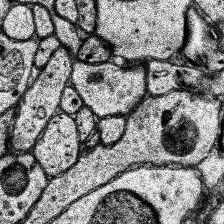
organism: Human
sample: Temporal Lobe